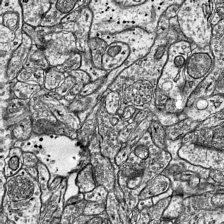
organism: Mouse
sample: Visual Cortex